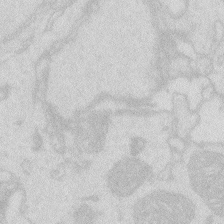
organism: Zebrafish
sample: Macrophage